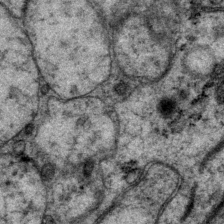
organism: P. pacificus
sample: Pharynx